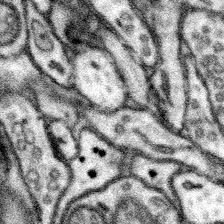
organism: Mouse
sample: Somatosensory cortex neuropil